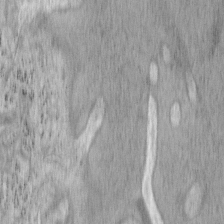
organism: Human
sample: HeLa cells